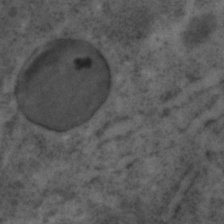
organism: C. elegans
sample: C. elegans embryo